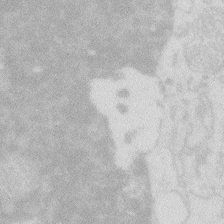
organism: Zebrafish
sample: Macrophage